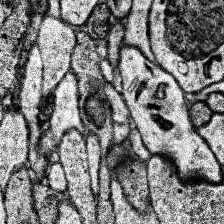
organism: Human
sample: Temporal Lobe